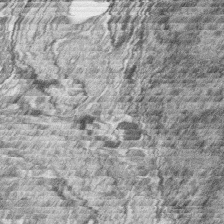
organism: Zebrafish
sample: synaptic ribbons in rod cells and cone cells